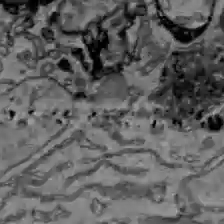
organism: C57BL Mouse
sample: Liver